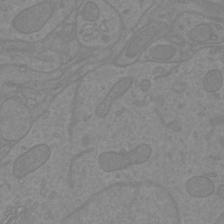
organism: Mouse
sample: Cortical neurons